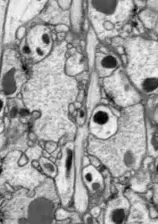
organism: Drosophila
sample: Optic lobe